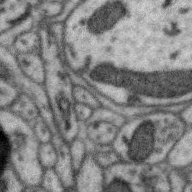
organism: Zebra finch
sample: Brain